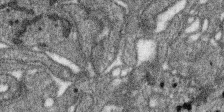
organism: Human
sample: Lung epithelial cells infected with SARS-CoV-2